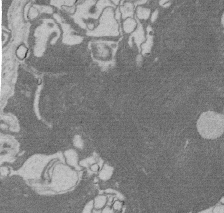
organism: Rat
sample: Salivary granule